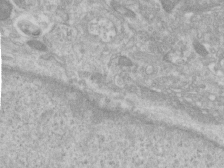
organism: Human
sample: Centriole in RPE cells